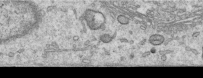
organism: Human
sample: Centriole in RPE cells